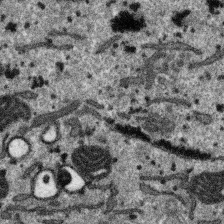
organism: Human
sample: Lung epithelial cells infected with SARS-CoV-2